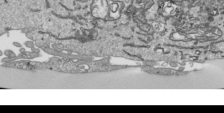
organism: Human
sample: Mitochondria in HCT116 cells